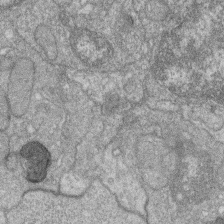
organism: Zebrafish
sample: Cilia; retinal pigment epithelium